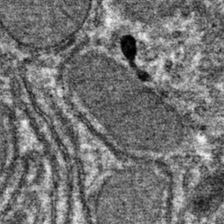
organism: Mouse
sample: Mouse hepatocytes